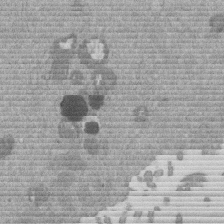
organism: Mouse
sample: Dividing mouse embryo 1 cell stage